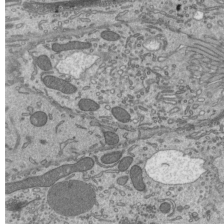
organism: Mouse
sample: Mouse epididymis efferent ductule cilia